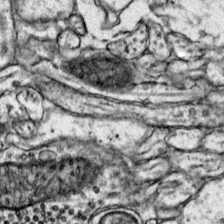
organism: Mouse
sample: Primary visual cortex